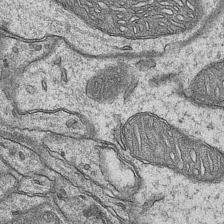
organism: Mouse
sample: CA1 Hippocampus